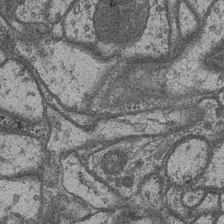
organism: Drosophila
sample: Optic medulla